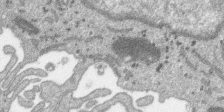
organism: Human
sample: Lung epithelial cells infected with SARS-CoV-2